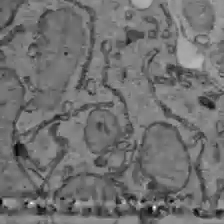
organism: C57BL Mouse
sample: Liver